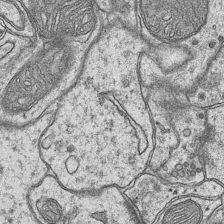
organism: Mouse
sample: CA1 Hippocampus